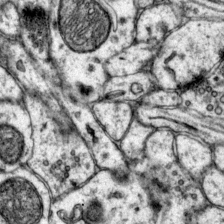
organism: Mouse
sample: Primary visual cortex